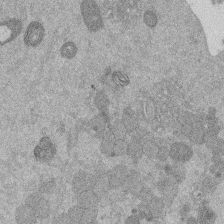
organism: Mouse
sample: Dividing mouse embryo 1 cell stage